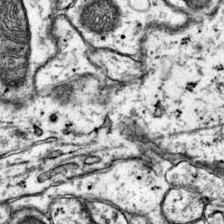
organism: Mouse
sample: Primary visual cortex